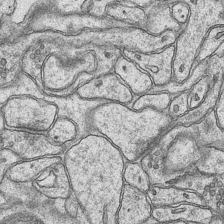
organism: Mouse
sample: CA1 Hippocampus